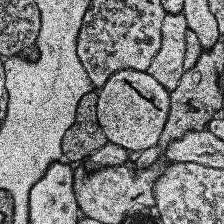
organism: Human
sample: Temporal Lobe